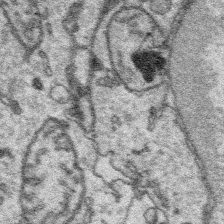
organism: Platynereis dumerilii